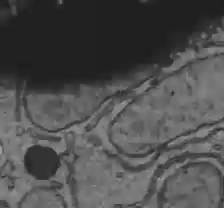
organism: C57BL Mouse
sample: Liver